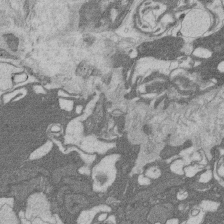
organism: Rat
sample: Salivary granule